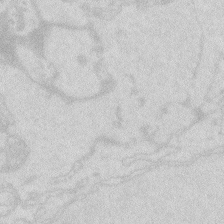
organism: Zebrafish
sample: Macrophage